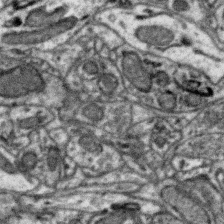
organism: Zebra finch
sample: Brain